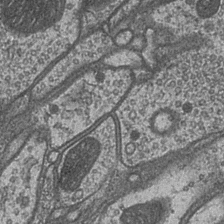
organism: Drosophila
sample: Optic medulla